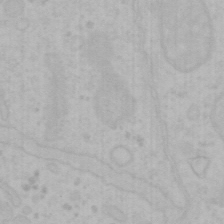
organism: Mouse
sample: Choroid plexus